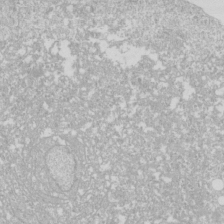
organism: Drosophila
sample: Cell division; meiosis; drosophila spermatocytes